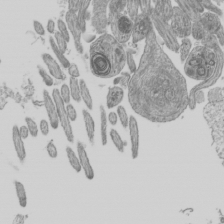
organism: Mouse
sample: Cilia; mouse epididymis